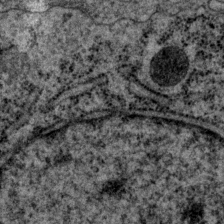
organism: P. pacificus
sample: Pharynx